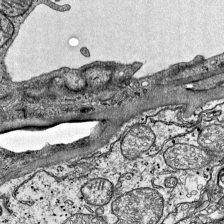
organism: Mouse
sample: Visual Cortex